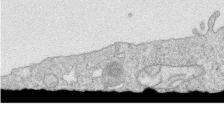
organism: Human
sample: HeLa cell HIV synapse